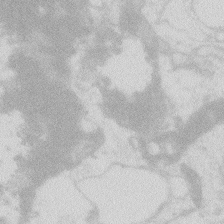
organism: Zebrafish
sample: Macrophage